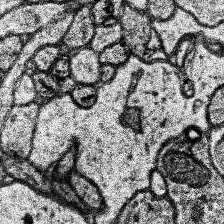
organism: Human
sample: Temporal Lobe